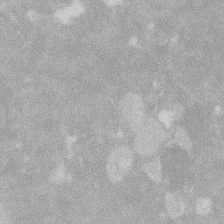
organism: Zebrafish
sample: Macrophage